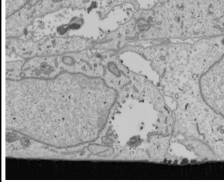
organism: Human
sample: Mitochondria in U2OS cells